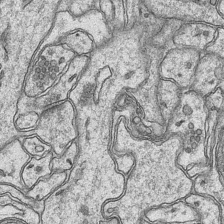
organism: Mouse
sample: CA1 Hippocampus